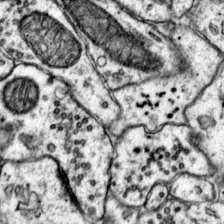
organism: Mouse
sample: Primary visual cortex